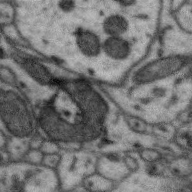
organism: Zebra finch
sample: Brain